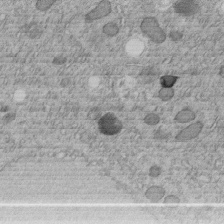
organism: C. elegans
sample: C. elegans embryo early stage